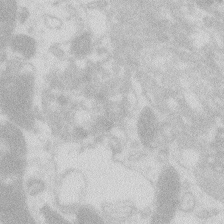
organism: Zebrafish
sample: Macrophage